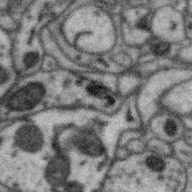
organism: Zebra finch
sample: Brain